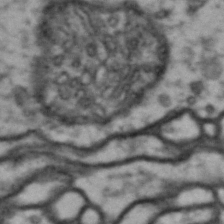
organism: Drosophila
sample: Brain